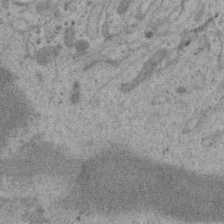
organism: Human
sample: HeLa cells